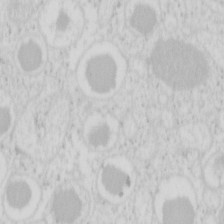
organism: Mouse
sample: Pancreas